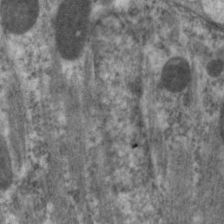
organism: C. elegans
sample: Pharynx